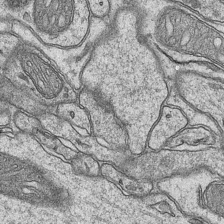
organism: Mouse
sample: CA1 Hippocampus